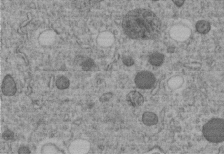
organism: C. elegans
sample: C. elegans embryo early stage